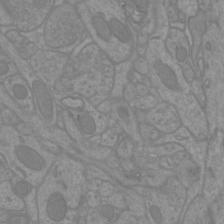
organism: Mouse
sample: Cortical neurons